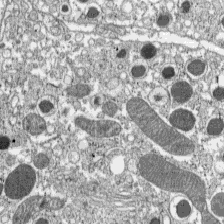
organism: C57BL Mouse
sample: Pancreatic islet